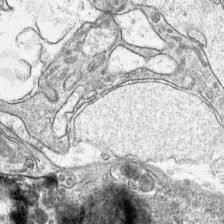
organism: Mouse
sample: Mouse hepatocytes